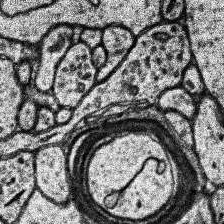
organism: Human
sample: Temporal Lobe